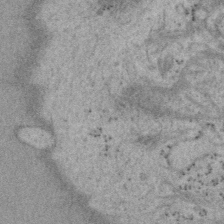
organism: Human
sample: HeLa cells